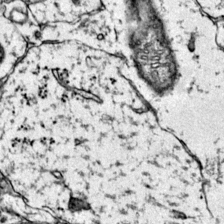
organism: Mouse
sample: Primary visual cortex